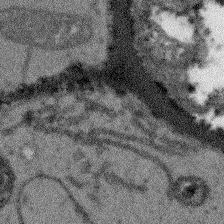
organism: Arabidopsis thaliana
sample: Root tip